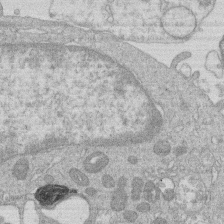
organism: Human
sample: Macrophage cells